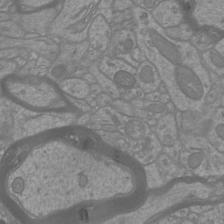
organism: Mouse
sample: Cortical neurons